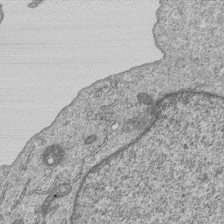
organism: Human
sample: MDA-MB-231 cells